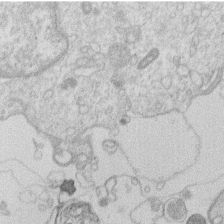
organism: Human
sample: Macrophage cells